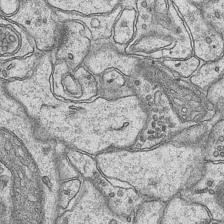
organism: Mouse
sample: CA1 Hippocampus